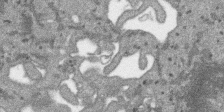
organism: Human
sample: Lung epithelial cells infected with SARS-CoV-2